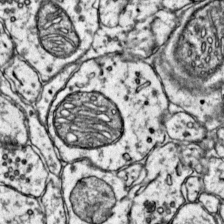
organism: Mouse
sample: Primary visual cortex